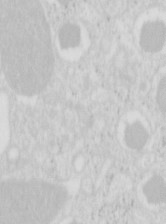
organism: Mouse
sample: Pancreas